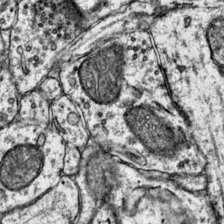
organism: Mouse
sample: Primary visual cortex